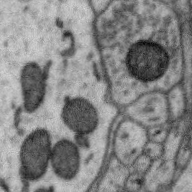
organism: Zebra finch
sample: Brain